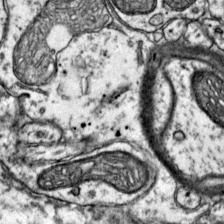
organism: Mouse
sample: Primary visual cortex